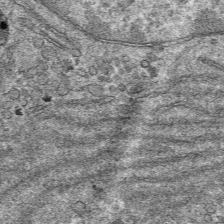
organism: Mouse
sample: Mouse hepatocytes